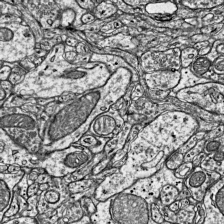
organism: Mouse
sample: Visual Cortex